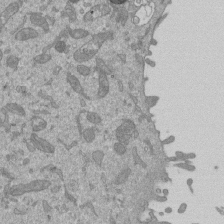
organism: Mouse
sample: ED-1 cell nuclei; centrioles